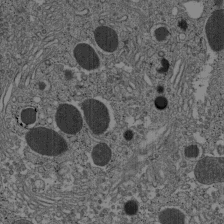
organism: C57BL Mouse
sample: Pancreatic islet